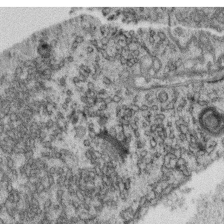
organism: C. elegans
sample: C. elegans oocyte; sperm cells